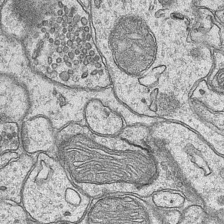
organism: Mouse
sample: CA1 Hippocampus